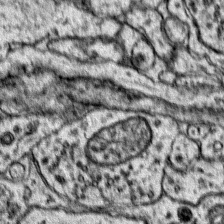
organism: Mouse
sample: Primary visual cortex